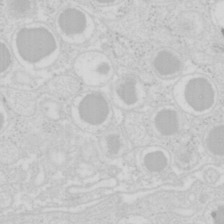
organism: Mouse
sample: Pancreas